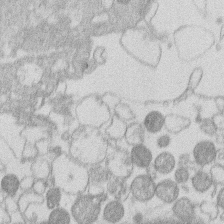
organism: Human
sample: Macrophage cells